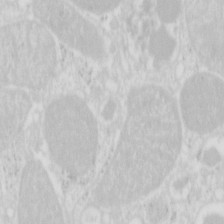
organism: Mouse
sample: Pancreas